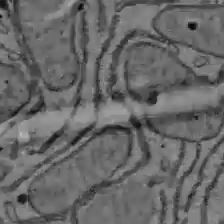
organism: C57BL Mouse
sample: Liver